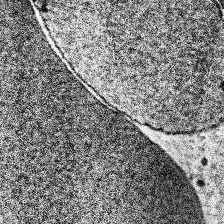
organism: Human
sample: Temporal Lobe